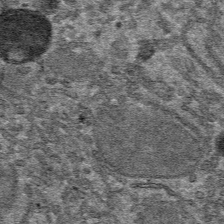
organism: Mouse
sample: Mouse hepatocytes